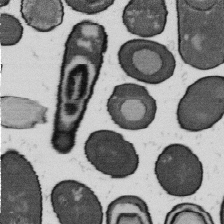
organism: B. subtilis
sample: Bacterial spore